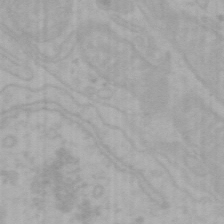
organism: Mouse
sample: Choroid plexus